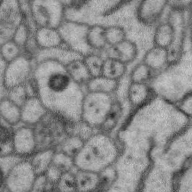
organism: Zebra finch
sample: Brain